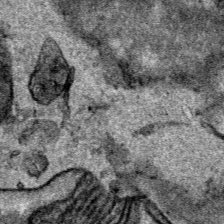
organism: Human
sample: Mitochondria in HCT116 cells